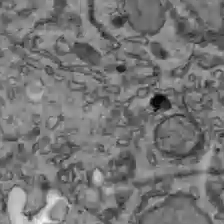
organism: C57BL Mouse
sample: Liver